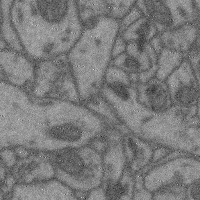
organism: Mouse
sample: Cerebral cortex